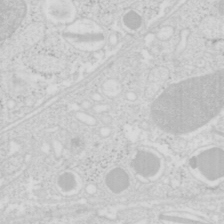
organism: Mouse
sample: Pancreas